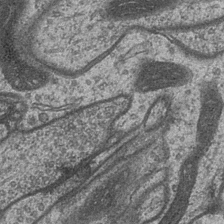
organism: Drosophila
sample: Optic medulla